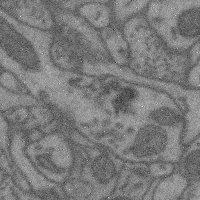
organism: Mouse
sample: Cerebral cortex